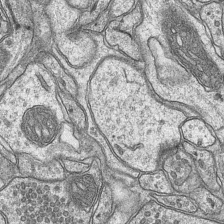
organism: Mouse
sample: CA1 Hippocampus